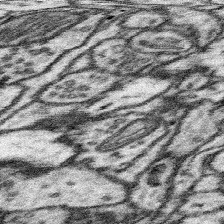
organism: Mouse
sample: Somatosensory cortex neuropil